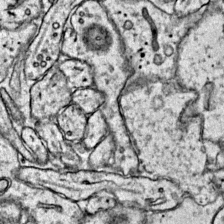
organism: Mouse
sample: Primary visual cortex